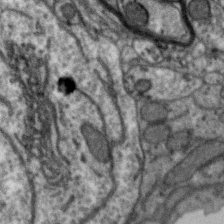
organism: Zebra finch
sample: Brain